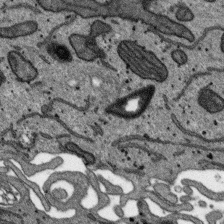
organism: Human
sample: Lung epithelial cells, uninfected (mock) control